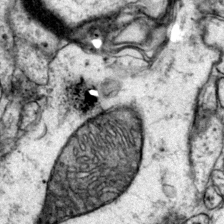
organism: Mouse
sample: Primary visual cortex